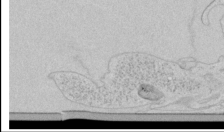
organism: Human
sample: Mitochondria in HCT116 cells